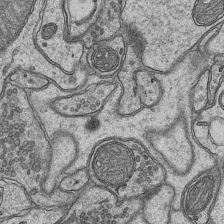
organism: Mouse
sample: CA1 Hippocampus